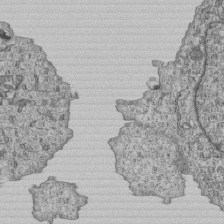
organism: Human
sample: MDA-MB-231 cells